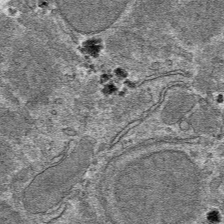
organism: Mouse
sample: Mouse hepatocytes